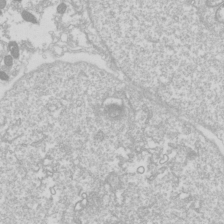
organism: Drosophila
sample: Cell division; meiosis; drosophila spermatocytes